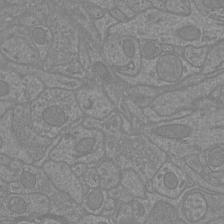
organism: Mouse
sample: Cortical neurons